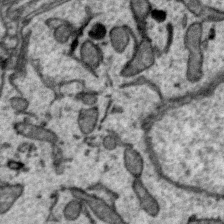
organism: Zebra finch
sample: Brain